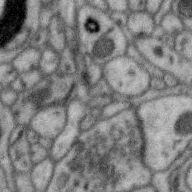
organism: Zebra finch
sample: Brain